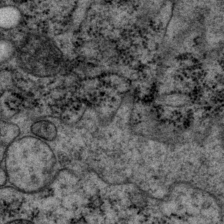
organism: P. pacificus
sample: Pharynx